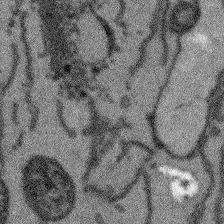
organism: Arabidopsis thaliana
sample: Root tip